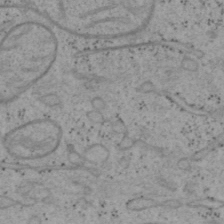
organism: Human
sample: HeLa cells